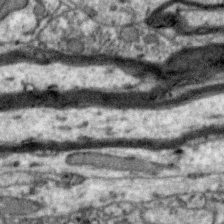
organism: Zebra finch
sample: Brain